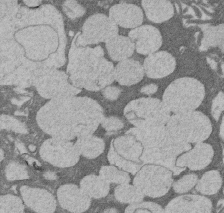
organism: Rat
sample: Salivary granule